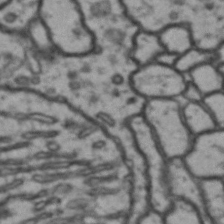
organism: Drosophila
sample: Brain